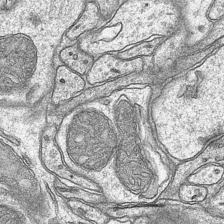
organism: Mouse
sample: CA1 Hippocampus